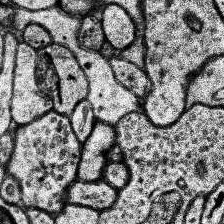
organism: Human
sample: Temporal Lobe